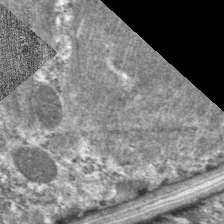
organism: C. elegans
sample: Pharynx